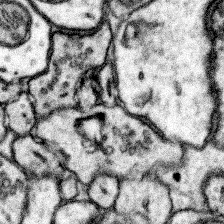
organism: Mouse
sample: Somatosensory cortex neuropil